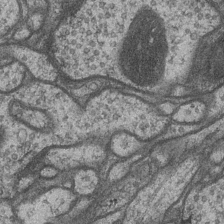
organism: Drosophila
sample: Optic medulla